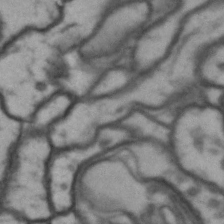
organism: Drosophila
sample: Brain